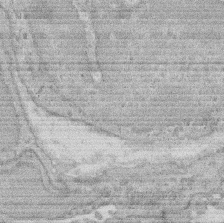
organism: Rat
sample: Salivary granule